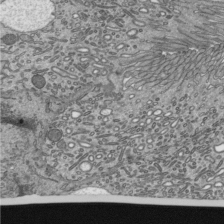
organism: Mouse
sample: Mouse epididymis efferent ductule cilia